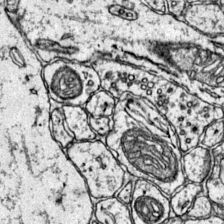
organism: Mouse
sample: Primary visual cortex